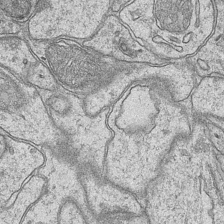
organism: Mouse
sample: CA1 Hippocampus